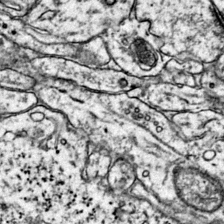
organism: Mouse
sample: Primary visual cortex